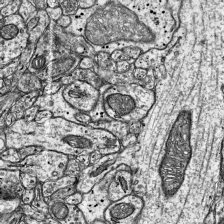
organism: Mouse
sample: Visual Cortex